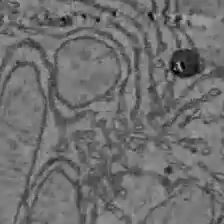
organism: C57BL Mouse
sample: Liver